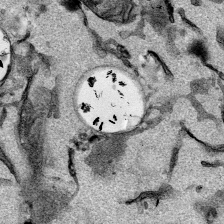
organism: Mouse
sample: Cancer cell death in ED-1 cells